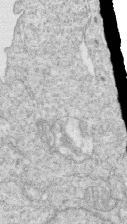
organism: Human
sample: HeLa cell HIV synapse